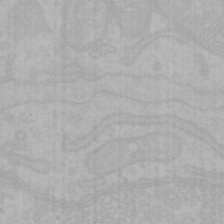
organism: Mouse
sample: Choroid plexus